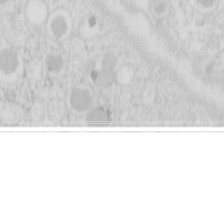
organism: Mouse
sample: Pancreas